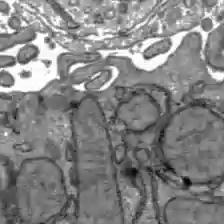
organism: C57BL Mouse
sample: Liver